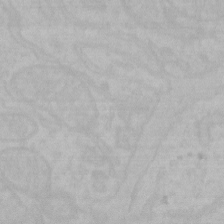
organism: Mouse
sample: Choroid plexus